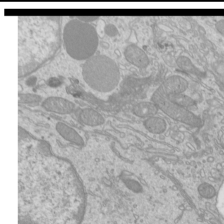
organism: Mouse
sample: Cilia; mouse epididymis